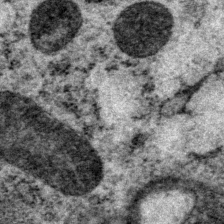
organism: P. pacificus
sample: Pharynx